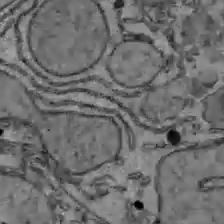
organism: C57BL Mouse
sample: Liver